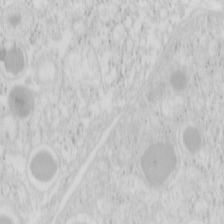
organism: Mouse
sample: Pancreas